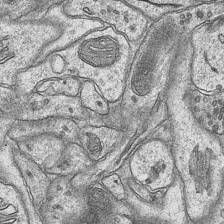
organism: Mouse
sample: CA1 Hippocampus